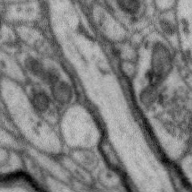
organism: Zebra finch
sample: Brain